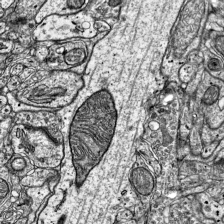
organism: Mouse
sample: Visual Cortex